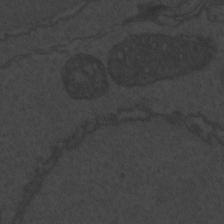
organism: Zebrafish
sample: Macrophage infected with Toxoplasma gondii